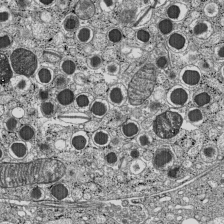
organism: C57BL Mouse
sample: Pancreatic islet